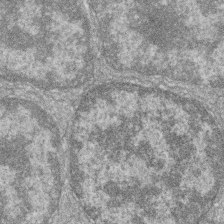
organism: Zebrafish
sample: Cilia; retinal pigment epithelium